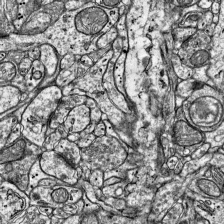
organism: Mouse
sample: Visual Cortex